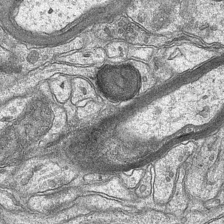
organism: Mouse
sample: CA1 Hippocampus